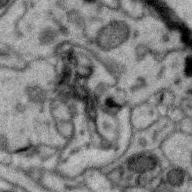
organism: Zebra finch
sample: Brain